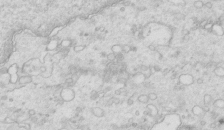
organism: Mouse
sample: Multiciliated cells